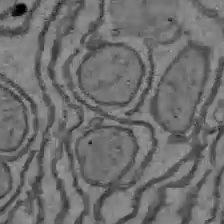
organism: C57BL Mouse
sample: Liver